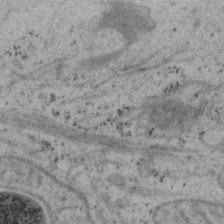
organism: Human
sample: HeLa cells